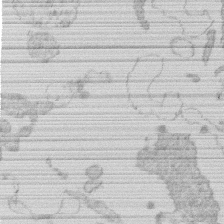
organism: Human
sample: Macrophage cells